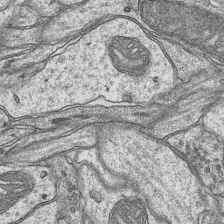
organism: Mouse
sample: CA1 Hippocampus